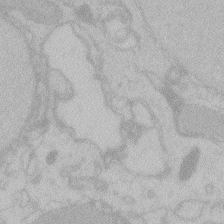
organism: Zebrafish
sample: Macrophage infected with Toxoplasma gondii